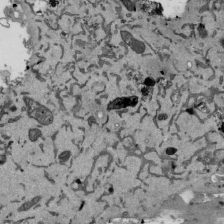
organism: Mouse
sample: ED-1 cell nuclei; centrioles